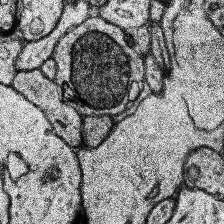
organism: Human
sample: Temporal Lobe